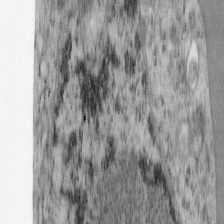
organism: Human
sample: HeLa cells